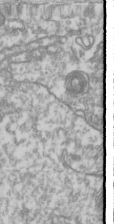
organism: Drosophila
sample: Cell division; meiosis; drosophila spermatocytes